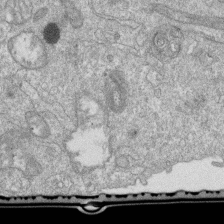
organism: Human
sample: HeLa cell HIV synapse